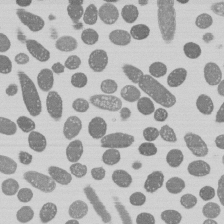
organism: E. coli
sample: Bacterial nucleoid